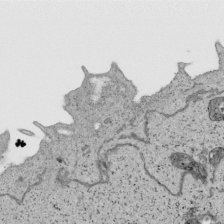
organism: Human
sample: Mitochondria in HCT116 cells